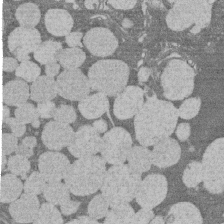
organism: Rat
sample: Salivary granule